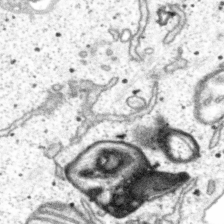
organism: Human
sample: HeLa cells